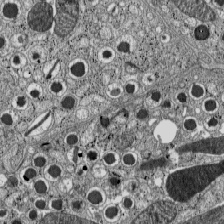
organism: C57BL Mouse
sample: Pancreatic islet